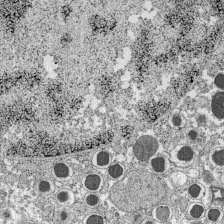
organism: C57BL Mouse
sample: Pancreatic islet